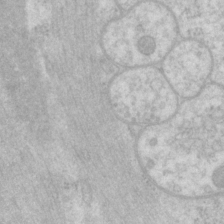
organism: P. pacificus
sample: Pharynx